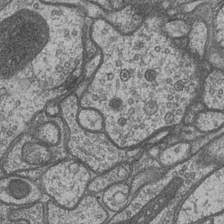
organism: Drosophila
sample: Optic medulla